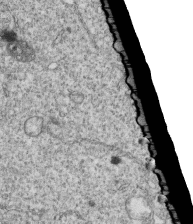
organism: Human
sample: HeLa cell HIV synapse